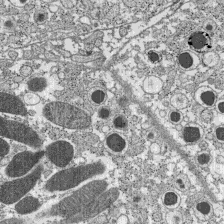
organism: C57BL Mouse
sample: Pancreatic islet